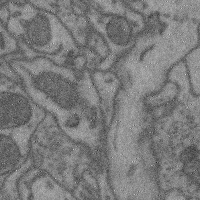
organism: Mouse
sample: Cerebral cortex